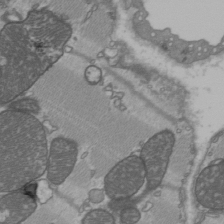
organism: C57BL Mouse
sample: Heart